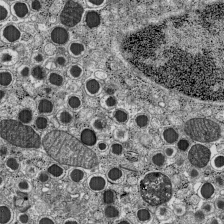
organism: C57BL Mouse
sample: Pancreatic islet